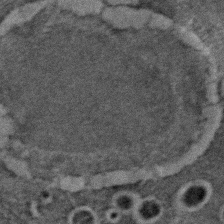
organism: C. elegans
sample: C. elegans embryo